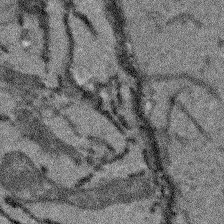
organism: Arabidopsis thaliana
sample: Root tip